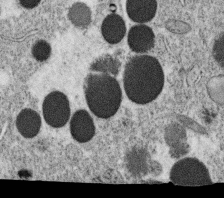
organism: C. elegans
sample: C. elegans oocyte; sperm cells